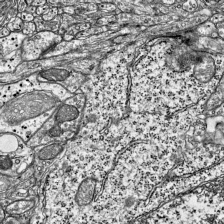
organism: Mouse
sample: Visual Cortex